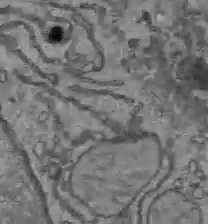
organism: C57BL Mouse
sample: Liver